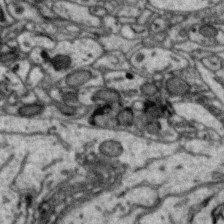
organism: Zebra finch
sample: Brain